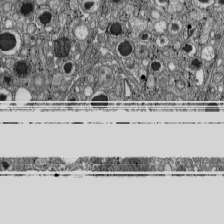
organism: C57BL Mouse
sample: Pancreatic islet